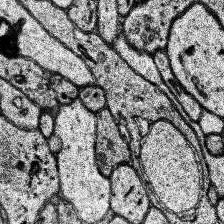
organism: Human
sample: Temporal Lobe